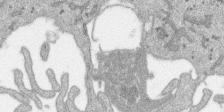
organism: Human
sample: Lung epithelial cells infected with SARS-CoV-2